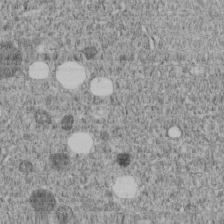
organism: C. elegans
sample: C. elegans embryo early stage